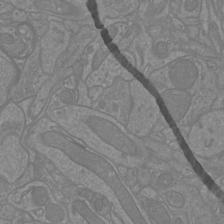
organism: Mouse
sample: Cortical neurons